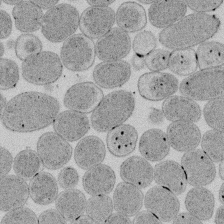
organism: E. coli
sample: Bacterial nucleoid